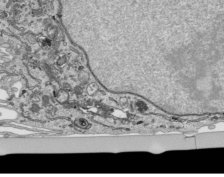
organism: Human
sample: Mitochondria in HCT116 cells